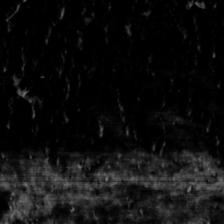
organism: Toxoplasma gondii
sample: Parasites in a vacuole inside a host cell